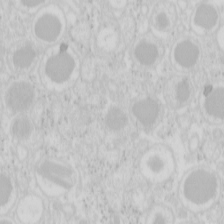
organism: Mouse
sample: Pancreas